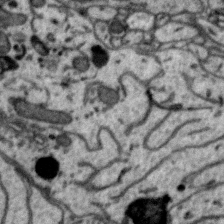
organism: Zebra finch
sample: Brain